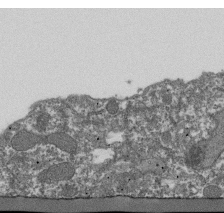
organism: Dictyostelium discoideum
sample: Dictyostelium multivesicular bodies